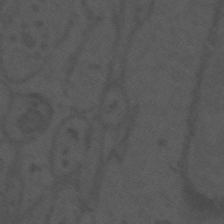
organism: Mouse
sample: Suprachiasmatic nucleus